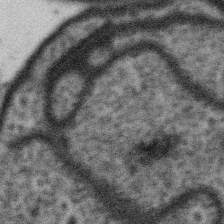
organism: Gemmata obscuriglobus